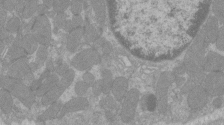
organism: C57BL Mouse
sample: Tibialis anterior muscle cell